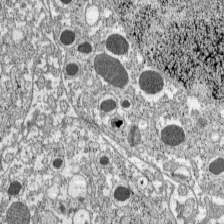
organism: C57BL Mouse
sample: Pancreatic islet